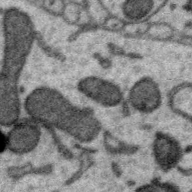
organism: Zebra finch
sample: Brain